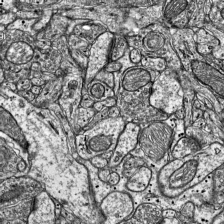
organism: Mouse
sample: Visual Cortex